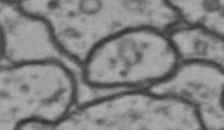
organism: Drosophila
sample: Brain